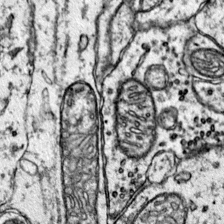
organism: Mouse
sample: Primary visual cortex